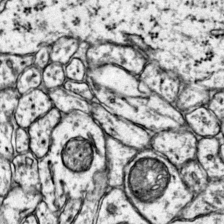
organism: Mouse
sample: Primary visual cortex